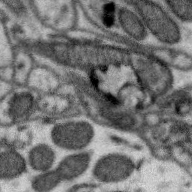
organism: Zebra finch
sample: Brain